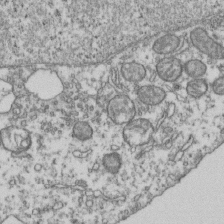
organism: Human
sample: Activated Jurkat CD4+ T cells